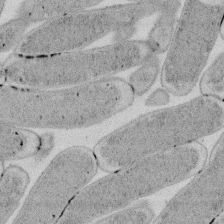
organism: E. coli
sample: Bacterial nucleoid